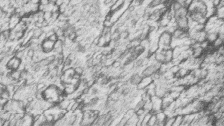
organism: Zebrafish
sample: synaptic ribbons in rod cells and cone cells